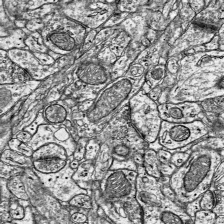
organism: Mouse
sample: Visual Cortex